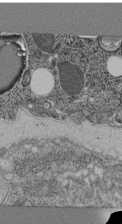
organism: C. elegans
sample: C. elegans pharynx